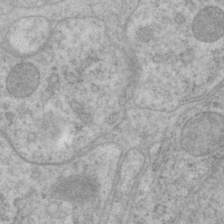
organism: P. pacificus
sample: Pharynx